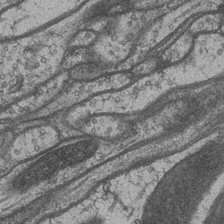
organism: Drosophila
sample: Optic medulla